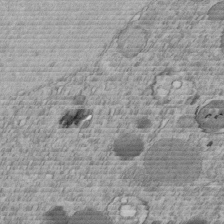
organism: C. elegans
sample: C. elegans embryo early stage